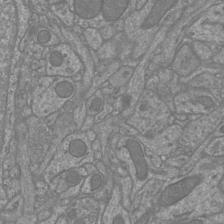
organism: Mouse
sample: Cortical neurons